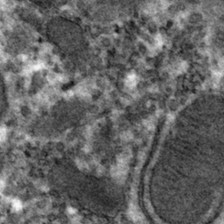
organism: Mouse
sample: Mouse hepatocytes